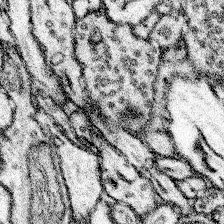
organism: Mouse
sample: Somatosensory cortex neuropil